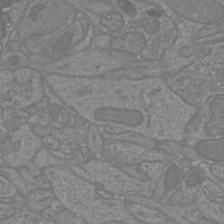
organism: Mouse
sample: Cortical neurons